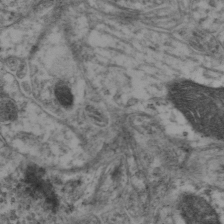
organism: Mouse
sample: Neocortex